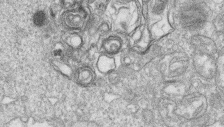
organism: Human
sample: HeLa cell HIV synapse